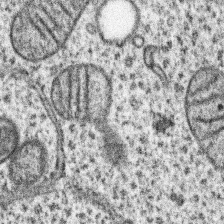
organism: Human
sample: HeLa cells